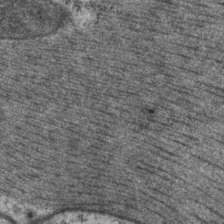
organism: P. pacificus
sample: Pharynx